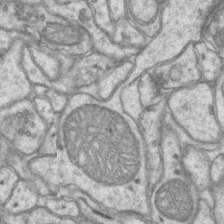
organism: Mouse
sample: CA1 Hippocampus